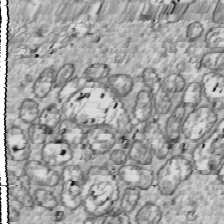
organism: Drosophila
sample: Cell division; meiosis; drosophila spermatocytes